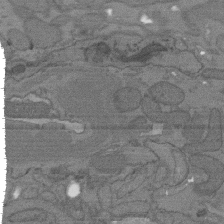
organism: C. elegans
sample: AFD neurons C. elegans